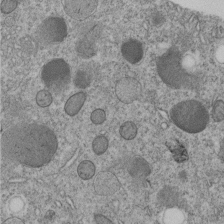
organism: C. elegans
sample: C. elegans embryo early stage